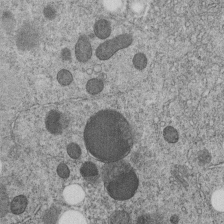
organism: C. elegans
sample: C. elegans embryo early stage